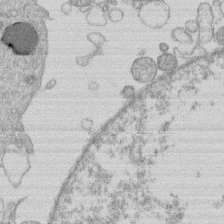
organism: Human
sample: Macrophage cells